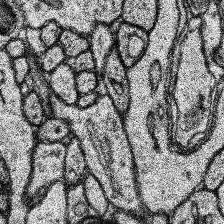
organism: Human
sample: Temporal Lobe